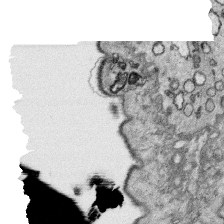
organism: Platynereis dumerilii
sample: Parapodia